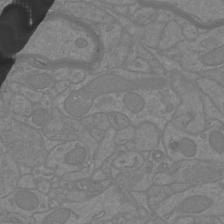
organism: Mouse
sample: Cortical neurons